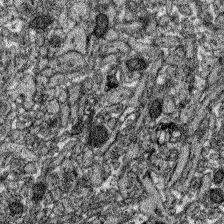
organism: Zebrafish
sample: Larval olfactory bulb